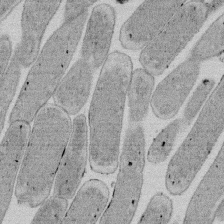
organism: E. coli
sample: Bacterial nucleoid